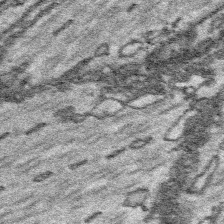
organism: Platynereis dumerilii